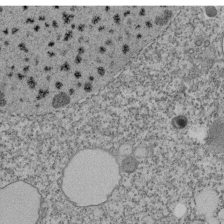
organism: Tetrahymena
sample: Cilia in tetrahymena